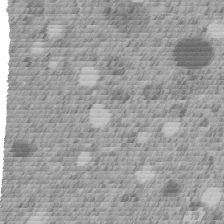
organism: C. elegans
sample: C. elegans embryo early stage